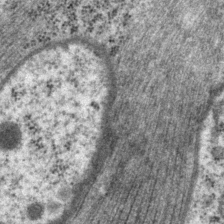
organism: P. pacificus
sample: Pharynx